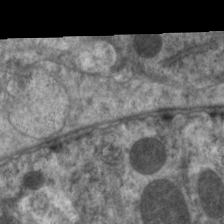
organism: C. elegans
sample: Pharynx